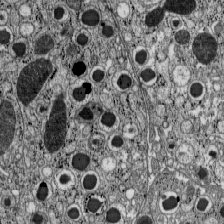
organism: C57BL Mouse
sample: Pancreatic islet